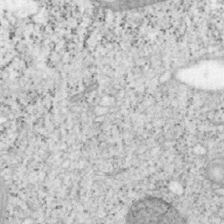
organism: Mouse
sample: OT-I killer T cells with ID8 ovarian cancer cells